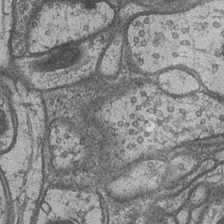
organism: Drosophila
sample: Optic medulla